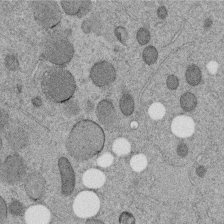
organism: C. elegans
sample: C. elegans embryo early stage